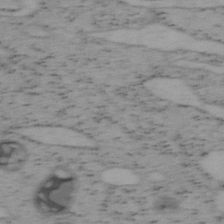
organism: Mouse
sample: OT-I killer T cells with ID8 ovarian cancer cells